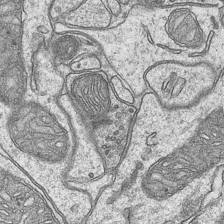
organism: Mouse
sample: CA1 Hippocampus